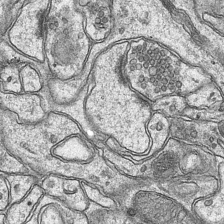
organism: Mouse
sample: CA1 Hippocampus